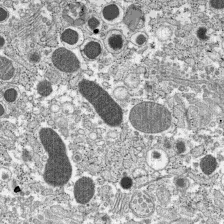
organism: C57BL Mouse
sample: Pancreatic islet